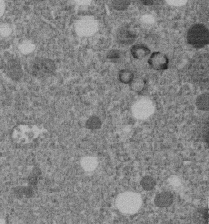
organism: C. elegans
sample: C. elegans embryo early stage